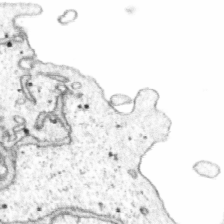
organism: Human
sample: HeLa cells